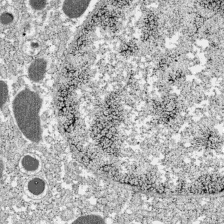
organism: C57BL Mouse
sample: Pancreatic islet